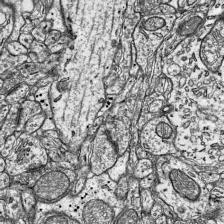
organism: Mouse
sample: Visual Cortex